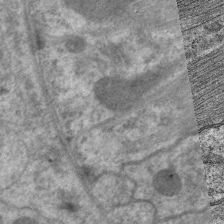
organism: C. elegans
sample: Pharynx